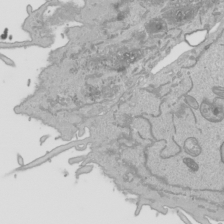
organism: Human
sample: Mitochondria in HCT116 cells